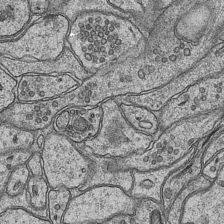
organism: Mouse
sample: CA1 Hippocampus